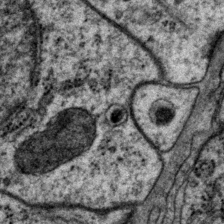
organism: P. pacificus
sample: Pharynx